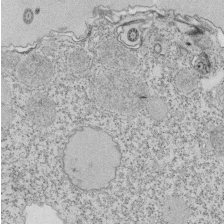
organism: Tetrahymena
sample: Cilia in tetrahymena